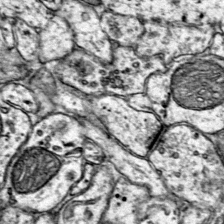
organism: Mouse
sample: Primary visual cortex